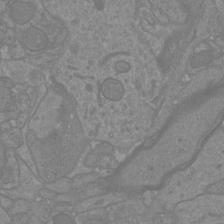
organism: Mouse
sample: Cortical neurons